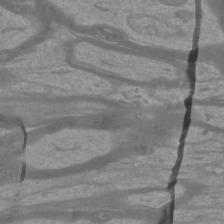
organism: Mouse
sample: Cortical neurons